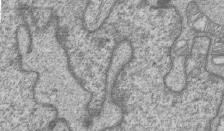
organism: Human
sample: MDA-MB-231 cells